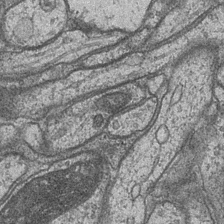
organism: Drosophila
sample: Optic medulla